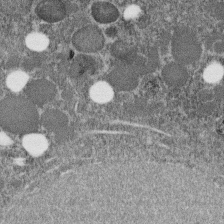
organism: C. elegans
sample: C. elegans embryo early stage